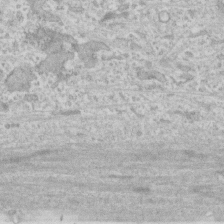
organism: Human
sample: CRL-1474